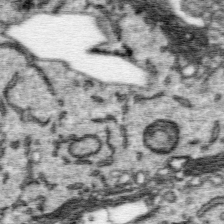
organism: Human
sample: HeLa cells